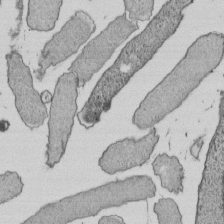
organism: E. coli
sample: Bacterial nucleoid